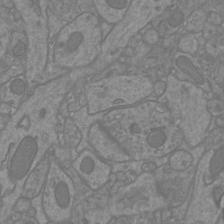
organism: Mouse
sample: Cortical neurons